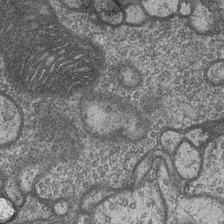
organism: Drosophila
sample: Optic medulla